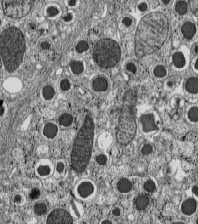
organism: C57BL Mouse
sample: Pancreatic islet